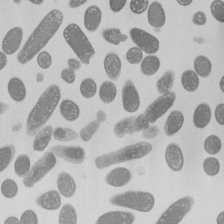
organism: E. coli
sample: Bacterial nucleoid